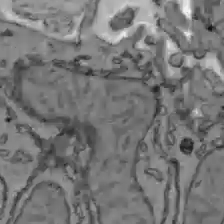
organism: C57BL Mouse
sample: Liver